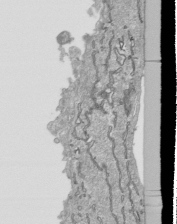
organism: Human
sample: Mitochondria in HCT116 cells